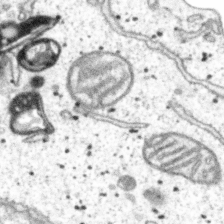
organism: Human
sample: HeLa cells